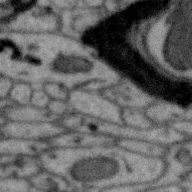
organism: Zebra finch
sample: Brain